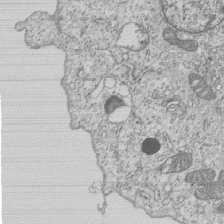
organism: Human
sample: MDA-MB-231 cells